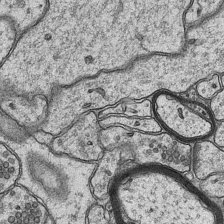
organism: Mouse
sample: CA1 Hippocampus